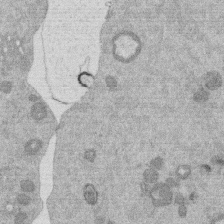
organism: Mouse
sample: Dividing mouse embryo 1 cell stage